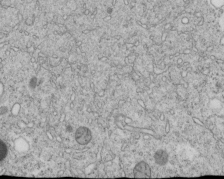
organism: C. elegans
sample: C. elegans embryo early stage